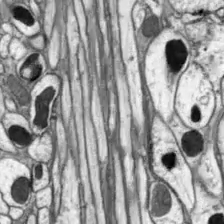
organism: Drosophila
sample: Optic lobe